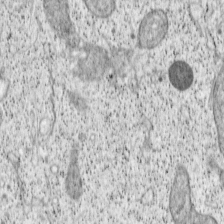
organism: African green monkey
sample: COS-7 cells